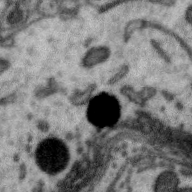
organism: Zebra finch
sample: Brain